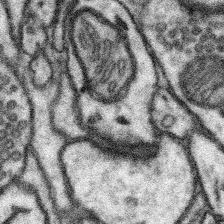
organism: Mouse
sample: Somatosensory cortex neuropil